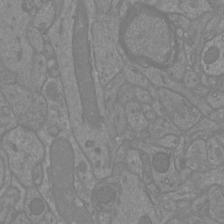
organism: Mouse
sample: Cortical neurons